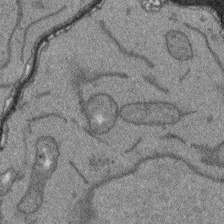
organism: Arabidopsis thaliana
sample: Root tip